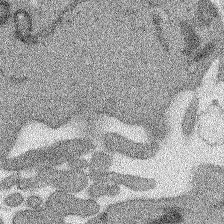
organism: Human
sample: HeLa cells